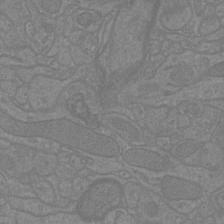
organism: Mouse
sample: Cortical neurons